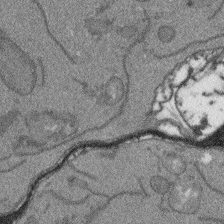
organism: Arabidopsis thaliana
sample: Root tip